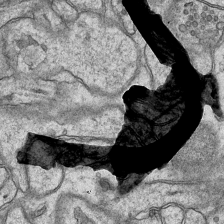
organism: Mouse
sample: CA1 Hippocampus